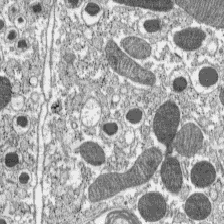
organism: C57BL Mouse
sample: Pancreatic islet